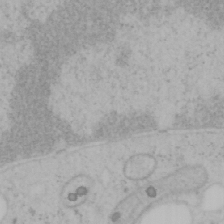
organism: Mouse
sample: OT-I killer T cells with ID8 ovarian cancer cells